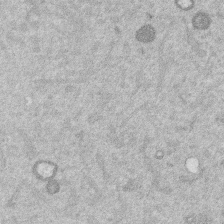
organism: Mouse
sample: Dividing mouse embryo 1 cell stage